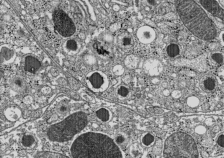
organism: C57BL Mouse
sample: Pancreatic islet